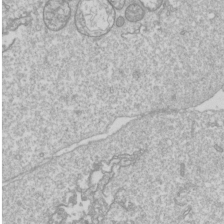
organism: Drosophila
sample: Cell division; meiosis; drosophila spermatocytes